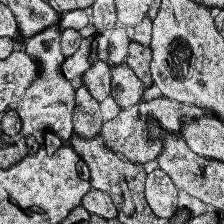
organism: Human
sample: Temporal Lobe